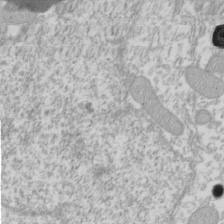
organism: Xenopus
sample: Cilia; centrioles in frog embryo cells